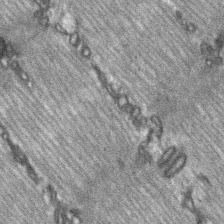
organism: C57BL Mouse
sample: Soleus